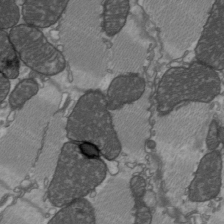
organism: C57BL Mouse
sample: Heart